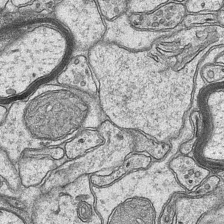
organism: Mouse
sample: CA1 Hippocampus